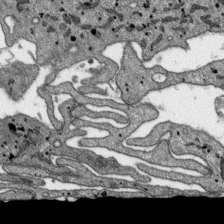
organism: Human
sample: Lung epithelial cells, uninfected (mock) control